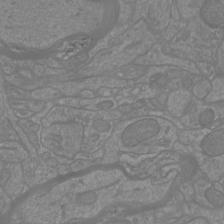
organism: Mouse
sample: Cortical neurons